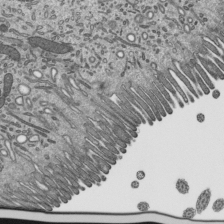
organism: Mouse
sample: Mouse epididymis efferent ductule cilia